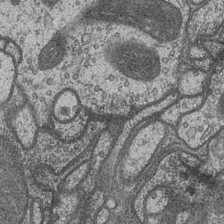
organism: Drosophila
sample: Optic medulla